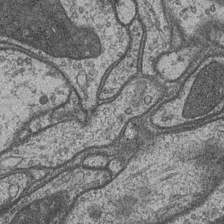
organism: Drosophila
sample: Optic medulla